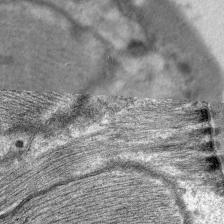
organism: C. elegans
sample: Pharynx